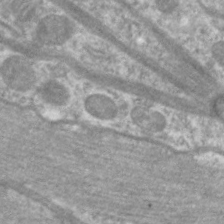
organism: C. elegans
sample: Pharynx